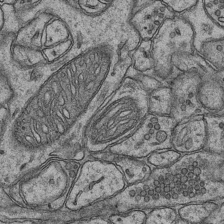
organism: Mouse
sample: CA1 Hippocampus